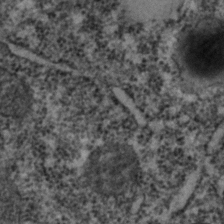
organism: C. elegans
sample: C. elegans embryo